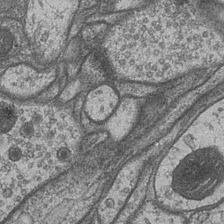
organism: Drosophila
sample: Optic medulla